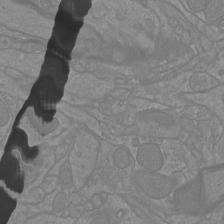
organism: Mouse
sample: Cortical neurons